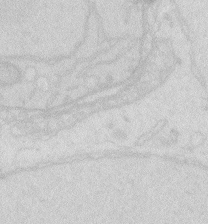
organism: Zebrafish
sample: Macrophage